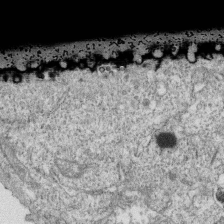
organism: Human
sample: HeLa cell HIV synapse